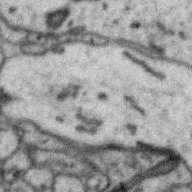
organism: Zebra finch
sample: Brain